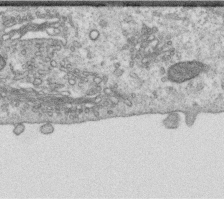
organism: Human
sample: Centriole in RPE cells